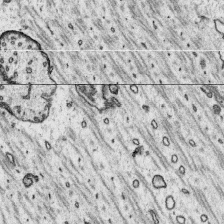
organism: Platynereis dumerilii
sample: Parapodia